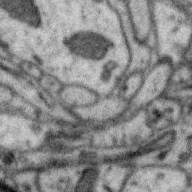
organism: Zebra finch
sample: Brain